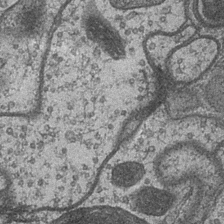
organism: Drosophila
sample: Optic medulla